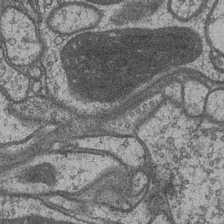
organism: Drosophila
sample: Optic medulla